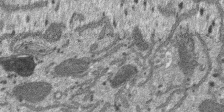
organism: Human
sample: Lung epithelial cells infected with SARS-CoV-2